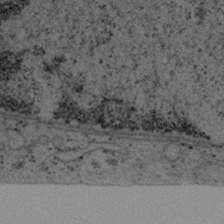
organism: Human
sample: HeLa cells